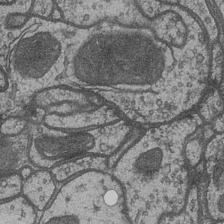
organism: Drosophila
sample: Optic medulla